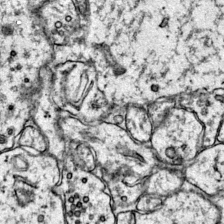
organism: Mouse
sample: Primary visual cortex